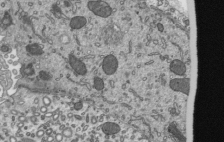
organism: Mouse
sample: Mouse epididymis efferent ductule cilia